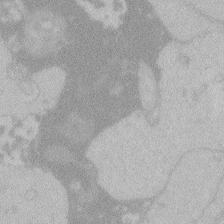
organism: Zebrafish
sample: Macrophage infected with Toxoplasma gondii